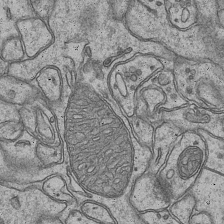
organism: Mouse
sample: CA1 Hippocampus